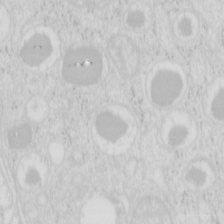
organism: Mouse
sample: Pancreas